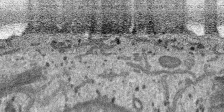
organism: Human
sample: Lung epithelial cells infected with SARS-CoV-2